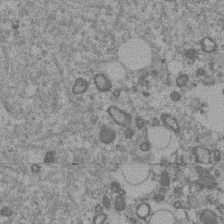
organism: Mouse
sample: Dividing mouse embryo 1 cell stage